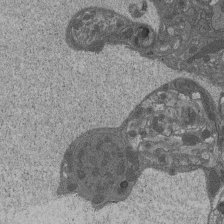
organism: Drosophila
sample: Antenna